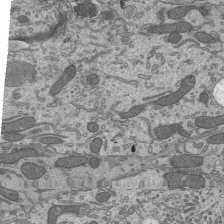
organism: Mouse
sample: Mouse epididymis efferent ductule cilia